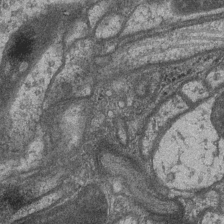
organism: Drosophila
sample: Optic medulla